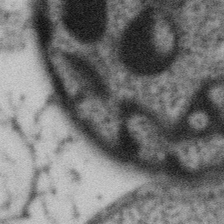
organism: Gemmata obscuriglobus